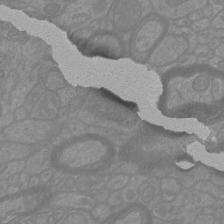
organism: Mouse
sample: Cortical neurons